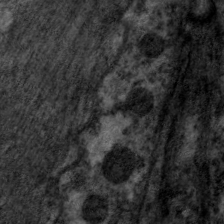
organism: C. elegans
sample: Pharynx